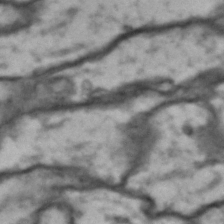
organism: Drosophila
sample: Brain